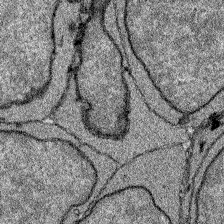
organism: Zebrafish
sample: Larval olfactory bulb